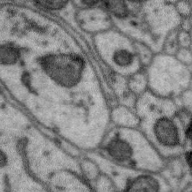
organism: Zebra finch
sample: Brain